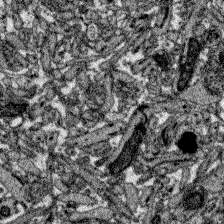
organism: Zebrafish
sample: Larval olfactory bulb